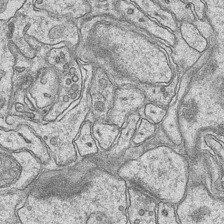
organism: Mouse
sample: CA1 Hippocampus